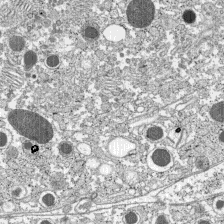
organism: C57BL Mouse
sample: Pancreatic islet